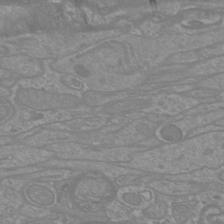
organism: Mouse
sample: Cortical neurons